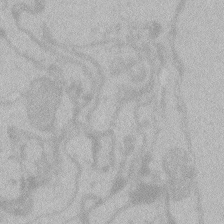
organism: Zebrafish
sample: Macrophage infected with Toxoplasma gondii